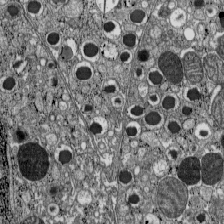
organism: C57BL Mouse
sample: Pancreatic islet